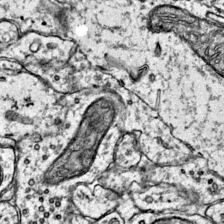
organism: Mouse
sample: Primary visual cortex